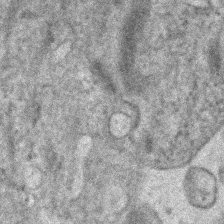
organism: Human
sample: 1205lu cells